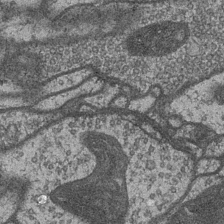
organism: Drosophila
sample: Optic medulla